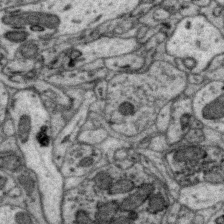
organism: Zebra finch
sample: Brain